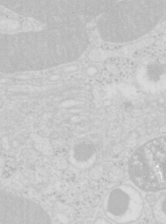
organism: Mouse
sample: Pancreas